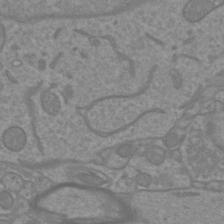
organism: Mouse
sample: Cortical neurons